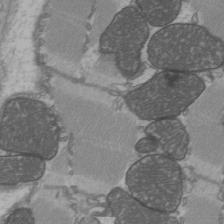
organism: C57BL Mouse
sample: Heart